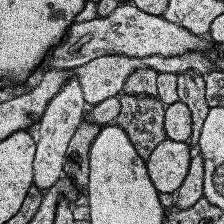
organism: Human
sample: Temporal Lobe